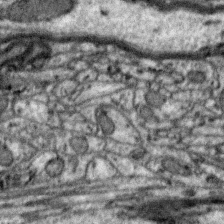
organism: Zebra finch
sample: Brain